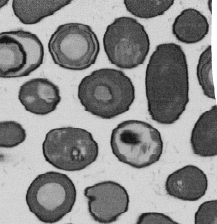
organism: B. subtilis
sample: Bacterial spore